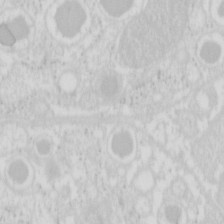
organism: Mouse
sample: Pancreas